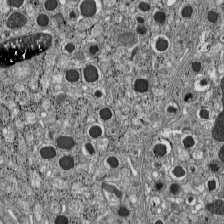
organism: C57BL Mouse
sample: Pancreatic islet